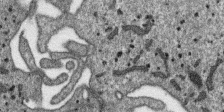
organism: Human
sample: Lung epithelial cells infected with SARS-CoV-2